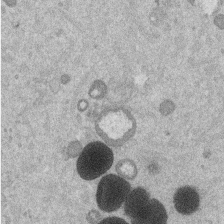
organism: Mouse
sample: Dividing mouse embryo 1 cell stage